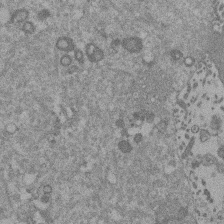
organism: Mouse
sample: Dividing mouse embryo 1 cell stage